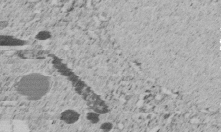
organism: C. elegans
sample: C. elegans embryo early stage